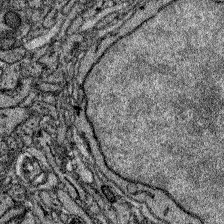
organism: Zebrafish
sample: Larval olfactory bulb